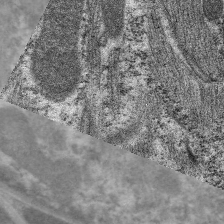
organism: C. elegans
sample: Pharynx